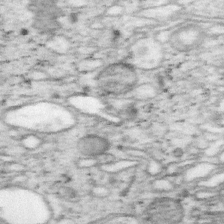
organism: Mouse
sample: OT-I killer T cells with ID8 ovarian cancer cells